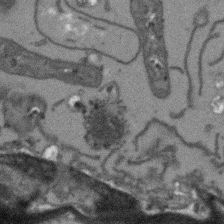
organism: Arabidopsis thaliana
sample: Root tip